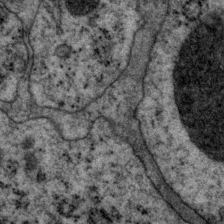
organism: P. pacificus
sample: Pharynx